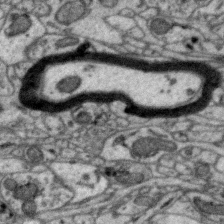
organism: Zebra finch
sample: Brain